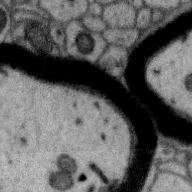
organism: Zebra finch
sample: Brain